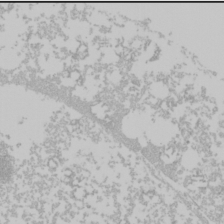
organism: Mouse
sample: Cancer cell death in ED-1 cells